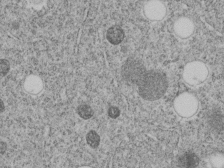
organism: C. elegans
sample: C. elegans embryo early stage